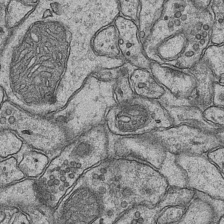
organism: Mouse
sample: CA1 Hippocampus